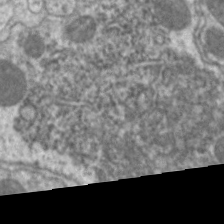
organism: C. elegans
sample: Pharynx